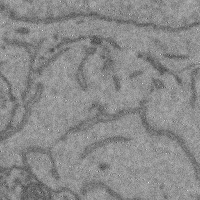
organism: Mouse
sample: Cerebral cortex